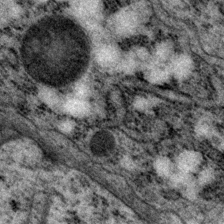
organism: P. pacificus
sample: Pharynx